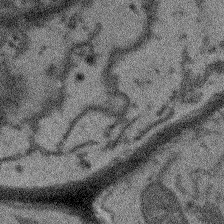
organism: Arabidopsis thaliana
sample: Root tip